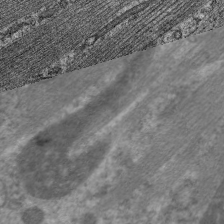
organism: C. elegans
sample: Pharynx